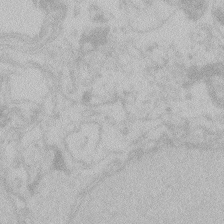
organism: Zebrafish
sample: Macrophage infected with Toxoplasma gondii